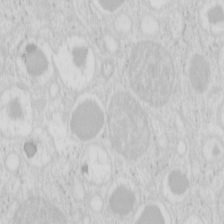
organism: Mouse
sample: Pancreas